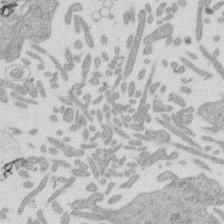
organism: Mouse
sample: Dividing mouse embryo 1 cell stage